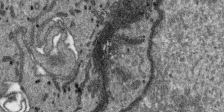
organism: Human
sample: Lung epithelial cells, uninfected (mock) control